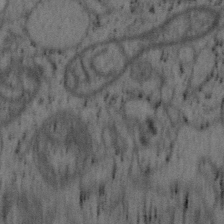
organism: Human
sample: HeLa cells